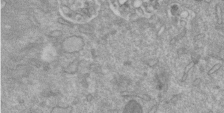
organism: Mouse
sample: ED-1 cell nuclei; centrioles